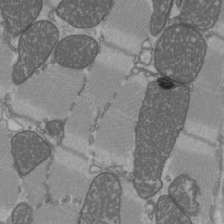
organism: C57BL Mouse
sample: Heart